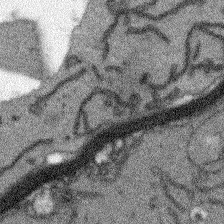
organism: Arabidopsis thaliana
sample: Root tip